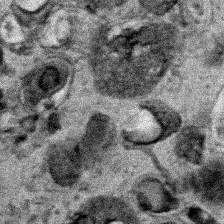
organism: Human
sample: Mitochondria in HCT116 cells